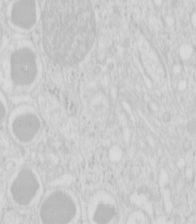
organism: Mouse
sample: Pancreas